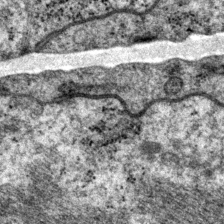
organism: P. pacificus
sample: Pharynx